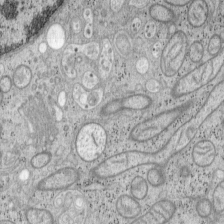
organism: Mouse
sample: OT-I killer T cells with ID8 ovarian cancer cells